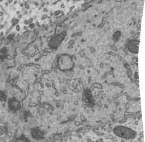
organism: Mouse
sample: Mouse epididymis efferent ductule cilia